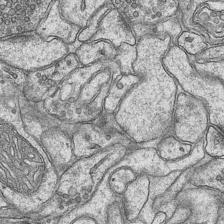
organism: Mouse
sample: CA1 Hippocampus